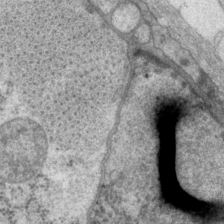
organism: P. pacificus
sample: Pharynx